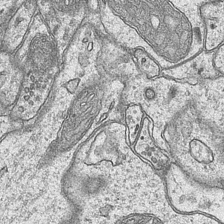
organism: Mouse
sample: CA1 Hippocampus